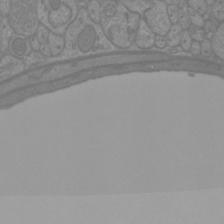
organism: Mouse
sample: Cortical neurons